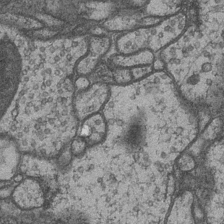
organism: Drosophila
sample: Optic medulla